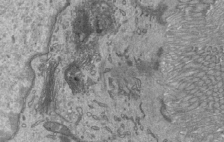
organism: Mouse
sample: Mouse epididymis efferent ductule cilia